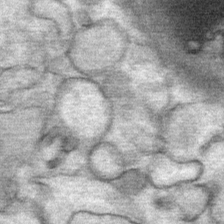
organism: Mouse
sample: Mouse Salivary gland